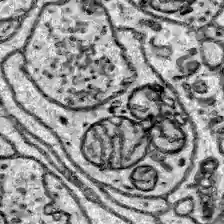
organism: Zebrafish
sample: Brain